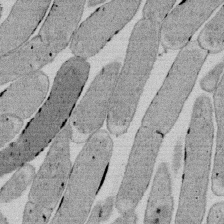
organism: E. coli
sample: Bacterial nucleoid